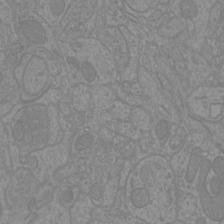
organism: Mouse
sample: Cortical neurons